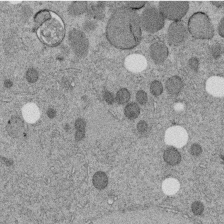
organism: C. elegans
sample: C. elegans embryo early stage